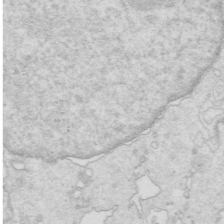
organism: Mouse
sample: Multiciliated cells